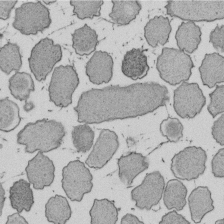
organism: E. coli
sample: Bacterial nucleoid